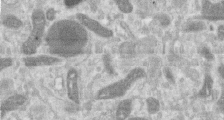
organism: Human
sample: Centriole in RPE cells